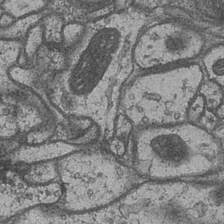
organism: Drosophila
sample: Optic medulla